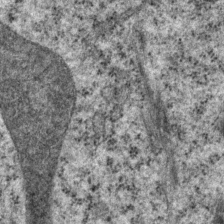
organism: P. pacificus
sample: Pharynx